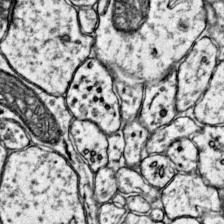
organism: Mouse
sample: Primary visual cortex